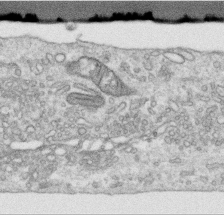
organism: Human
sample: Centriole in RPE cells